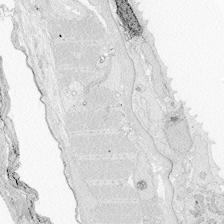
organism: Zebrafish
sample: Whole-Brain